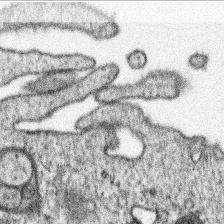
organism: Human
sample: HeLa cells